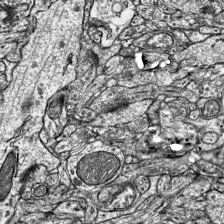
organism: Mouse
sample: Visual Cortex